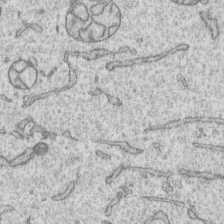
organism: Human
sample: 1205lu cells